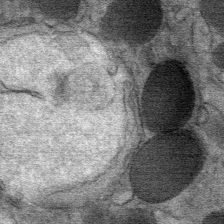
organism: Mouse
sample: Mouse Salivary gland